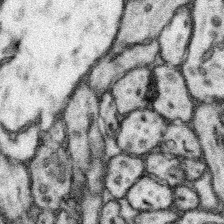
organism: Mouse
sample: Somatosensory cortex neuropil